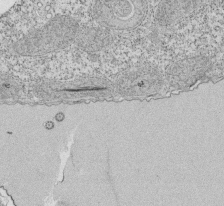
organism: Tetrahymena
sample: Cilia in tetrahymena